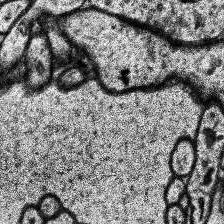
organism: Human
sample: Temporal Lobe